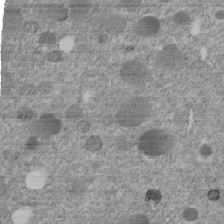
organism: C. elegans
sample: C. elegans embryo early stage